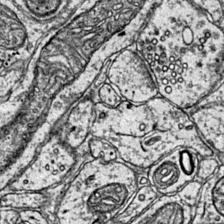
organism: Mouse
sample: Primary visual cortex